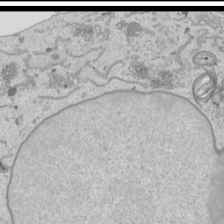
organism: Human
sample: Mitochondria in HCT116 cells